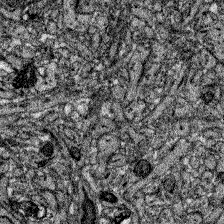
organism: Zebrafish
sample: Larval olfactory bulb